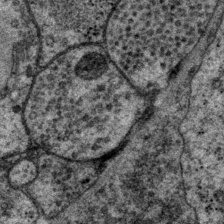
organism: P. pacificus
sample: Pharynx